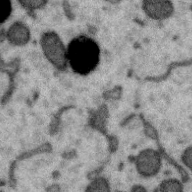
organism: Zebra finch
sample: Brain